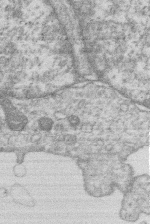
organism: Human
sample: Macrophage cells